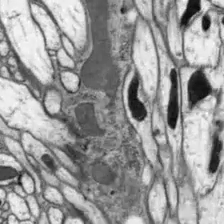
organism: Drosophila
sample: Optic lobe